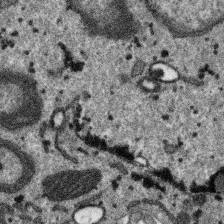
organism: Human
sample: Lung epithelial cells infected with SARS-CoV-2